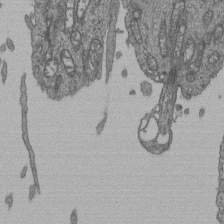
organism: Human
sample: Retinal organoid Rod and Cone cells